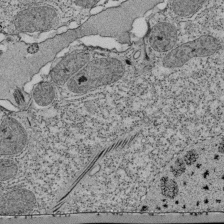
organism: Tetrahymena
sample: Cilia in tetrahymena